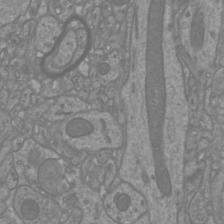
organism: Mouse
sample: Cortical neurons